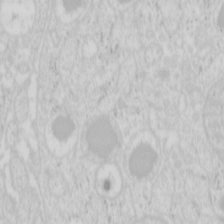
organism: Mouse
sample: Pancreas